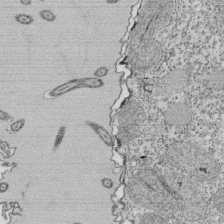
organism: Tetrahymena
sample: Cilia in tetrahymena